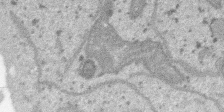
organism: Human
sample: Lung epithelial cells infected with SARS-CoV-2